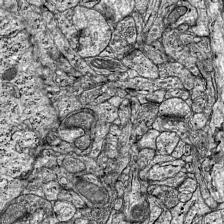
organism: Mouse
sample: Visual Cortex